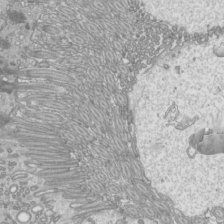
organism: Mouse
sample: Cilia; mouse epididymis